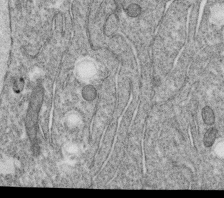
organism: C. elegans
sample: C. elegans oocyte; sperm cells